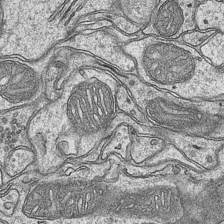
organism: Mouse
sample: CA1 Hippocampus